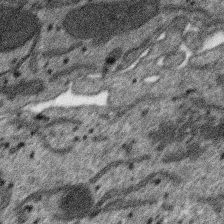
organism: Human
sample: Lung epithelial cells infected with SARS-CoV-2